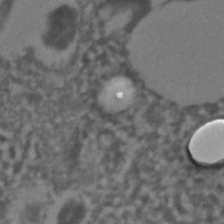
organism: C. elegans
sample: C. elegans embryo